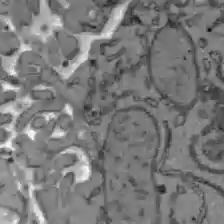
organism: C57BL Mouse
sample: Liver